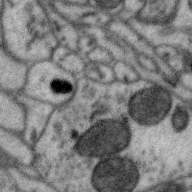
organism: Zebra finch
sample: Brain